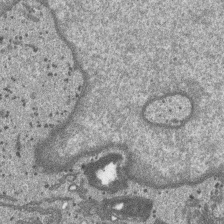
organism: Human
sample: Lung epithelial cells infected with SARS-CoV-2